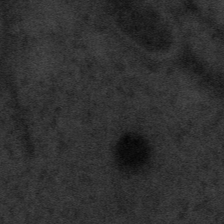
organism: Tuwongella immobilis